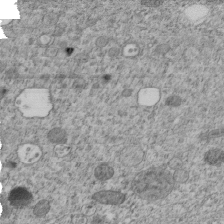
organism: C. elegans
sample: C. elegans embryo early stage